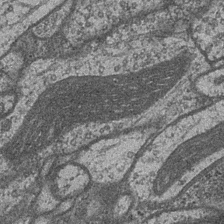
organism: Drosophila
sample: Optic medulla